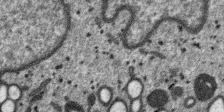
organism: Human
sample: Lung epithelial cells infected with SARS-CoV-2